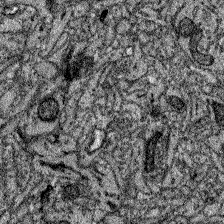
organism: Zebrafish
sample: Larval olfactory bulb